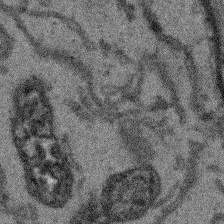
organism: Arabidopsis thaliana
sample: Root tip